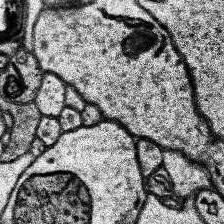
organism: Human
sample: Temporal Lobe